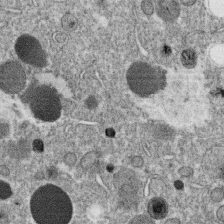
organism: C. elegans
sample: C. elegans oocyte; sperm cells